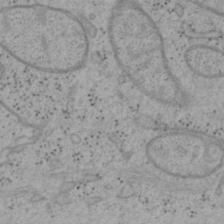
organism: Human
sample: HeLa cells